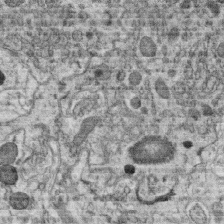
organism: C. elegans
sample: C. elegans oocyte; sperm cells